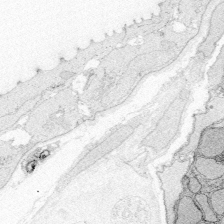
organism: Zebrafish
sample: Whole-Brain